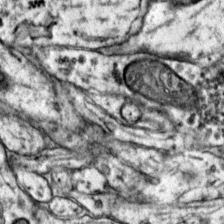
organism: Mouse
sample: Primary visual cortex